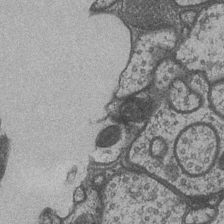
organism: Drosophila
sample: Optic medulla